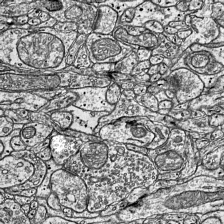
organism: Mouse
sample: Visual Cortex